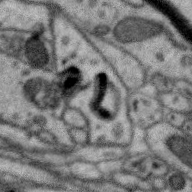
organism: Zebra finch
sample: Brain